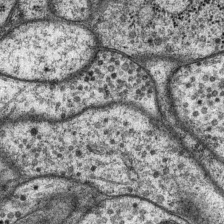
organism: P. pacificus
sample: Pharynx